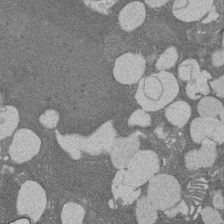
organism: Rat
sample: Salivary granule